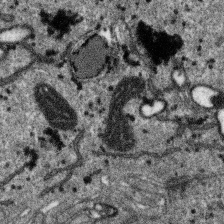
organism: Human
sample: Lung epithelial cells infected with SARS-CoV-2